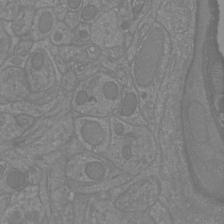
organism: Mouse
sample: Cortical neurons